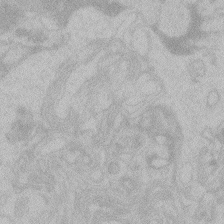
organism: Zebrafish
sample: Macrophage infected with Toxoplasma gondii